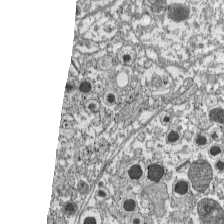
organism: C57BL Mouse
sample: Pancreatic islet